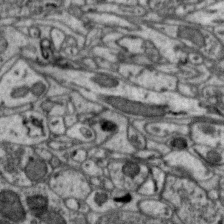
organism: Zebra finch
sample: Brain